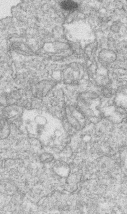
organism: Human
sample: HeLa cell HIV synapse